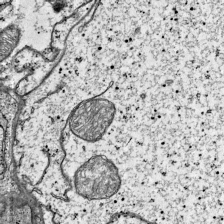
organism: Mouse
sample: Visual Cortex